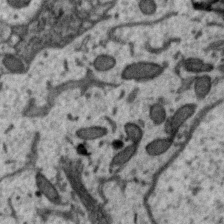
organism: Zebra finch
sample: Brain